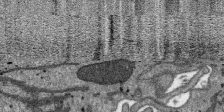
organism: Human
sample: Lung epithelial cells, uninfected (mock) control